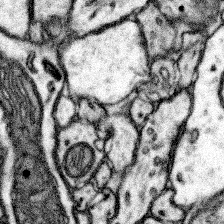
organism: Mouse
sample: Somatosensory cortex neuropil